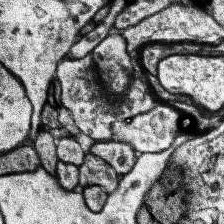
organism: Human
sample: Temporal Lobe